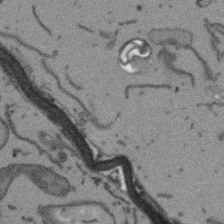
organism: Arabidopsis thaliana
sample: Root tip